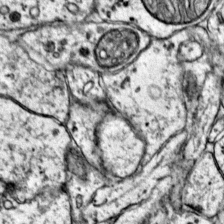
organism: Mouse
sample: Primary visual cortex